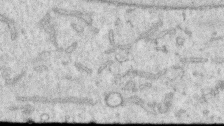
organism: Human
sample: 1205lu cells